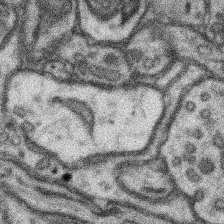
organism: Mouse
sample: Somatosensory cortex neuropil